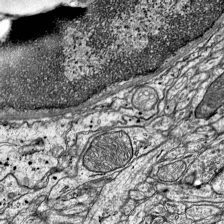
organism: Mouse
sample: Visual Cortex